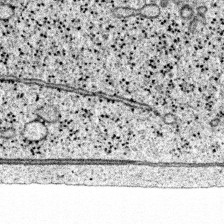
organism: Human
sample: HeLa cells